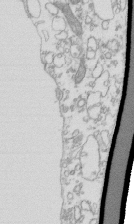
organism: Mouse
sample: Macrophages